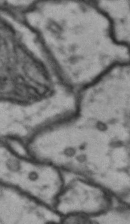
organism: Drosophila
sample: Brain